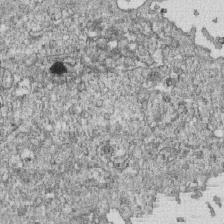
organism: Human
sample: HeLa cell HIV synapse